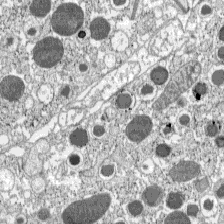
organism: C57BL Mouse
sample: Pancreatic islet